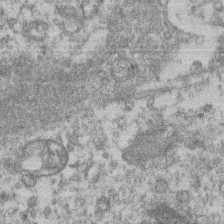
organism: Mouse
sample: T cell stromal cell synapse